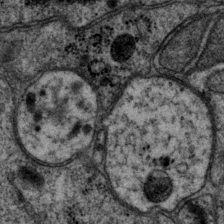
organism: P. pacificus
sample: Pharynx